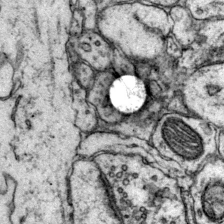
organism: Mouse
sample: Primary visual cortex